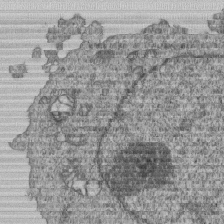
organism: Human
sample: MDA-MB-231 cells